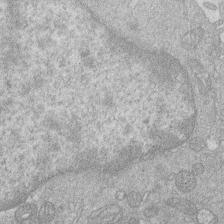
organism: Human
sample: Macrophage cells